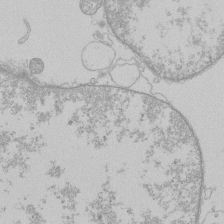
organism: Human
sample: Macrophage cells